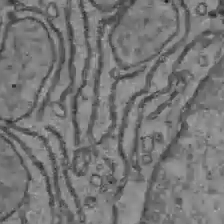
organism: C57BL Mouse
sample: Liver